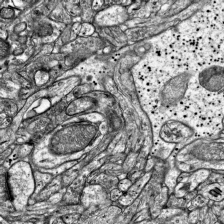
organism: Mouse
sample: Visual Cortex